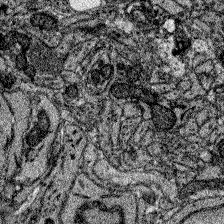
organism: Zebrafish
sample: Larval olfactory bulb